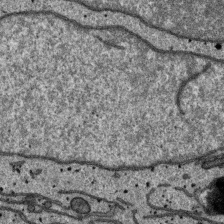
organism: Human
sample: Lung epithelial cells, uninfected (mock) control